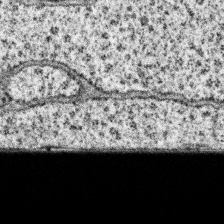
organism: Human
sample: HeLa cells